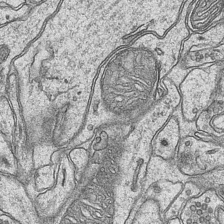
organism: Mouse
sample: CA1 Hippocampus